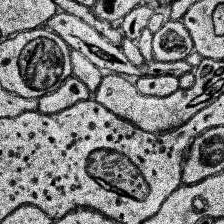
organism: Human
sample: Temporal Lobe